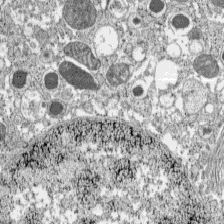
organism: C57BL Mouse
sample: Pancreatic islet